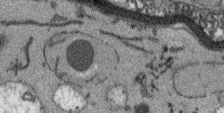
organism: Arabidopsis thaliana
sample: Root tip